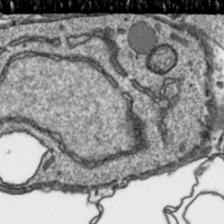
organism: Toxoplasma gondii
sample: Parasites in a vacuole inside a host cell